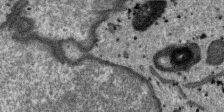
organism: Human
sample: Lung epithelial cells, uninfected (mock) control